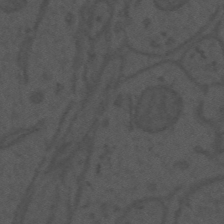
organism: Mouse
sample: Suprachiasmatic nucleus